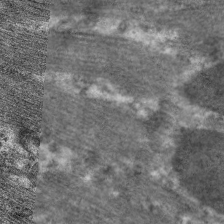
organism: C. elegans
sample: Pharynx